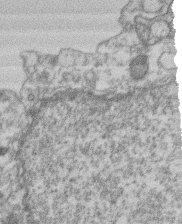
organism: Mouse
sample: T cell stromal cell synapse